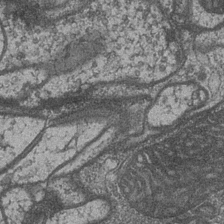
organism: Drosophila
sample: Optic medulla